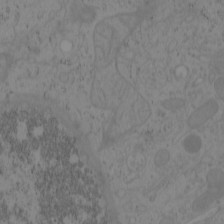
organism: Human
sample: HeLa cells